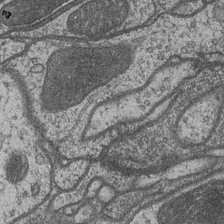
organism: Drosophila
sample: Optic medulla